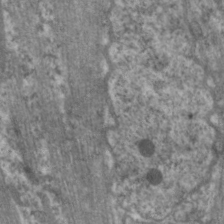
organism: C. elegans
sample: Pharynx